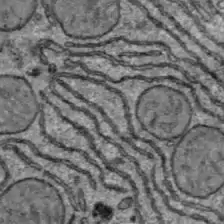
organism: C57BL Mouse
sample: Liver